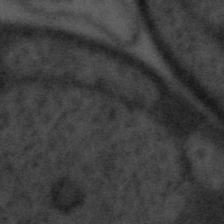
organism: Tuwongella immobilis